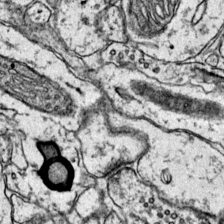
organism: Mouse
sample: Primary visual cortex